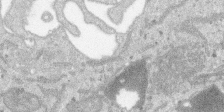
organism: Human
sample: Lung epithelial cells infected with SARS-CoV-2